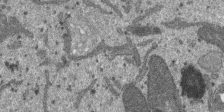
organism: Human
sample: Lung epithelial cells infected with SARS-CoV-2